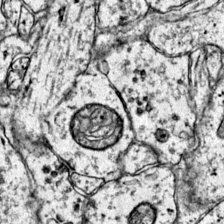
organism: Mouse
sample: Primary visual cortex